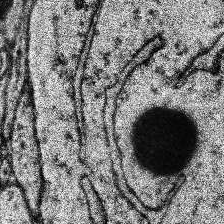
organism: Human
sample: Temporal Lobe